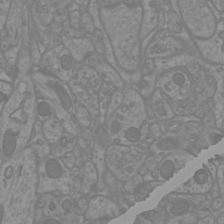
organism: Mouse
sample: Cortical neurons